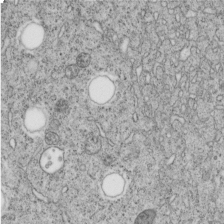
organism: C. elegans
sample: C. elegans embryo early stage